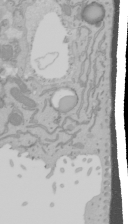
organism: Mouse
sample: Cancer cell death in ED-1 cells